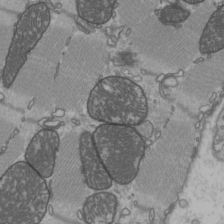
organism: C57BL Mouse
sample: Heart